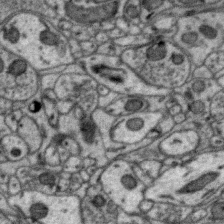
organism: Zebra finch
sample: Brain